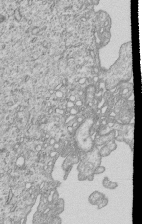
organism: Human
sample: MDA-MB-231 cells